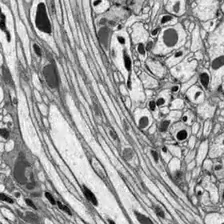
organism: Drosophila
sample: Optic lobe